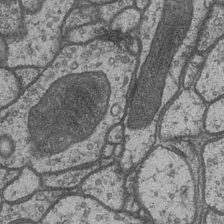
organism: Drosophila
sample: Optic medulla